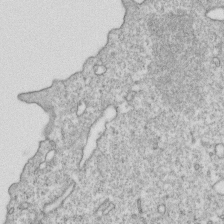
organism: Mouse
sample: Activated OT-1 CD8+ T cells